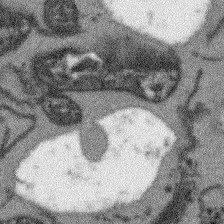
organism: Arabidopsis thaliana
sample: Root tip